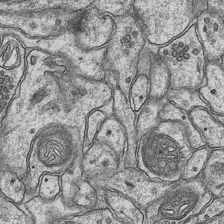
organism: Mouse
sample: CA1 Hippocampus